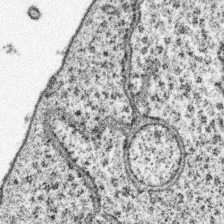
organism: Human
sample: HeLa cells